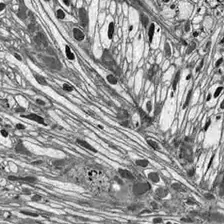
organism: Drosophila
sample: Optic lobe